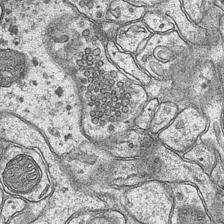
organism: Mouse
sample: CA1 Hippocampus